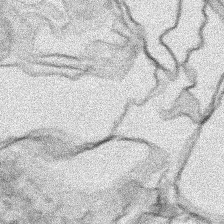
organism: Human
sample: Mitochondria in HCT116 cells